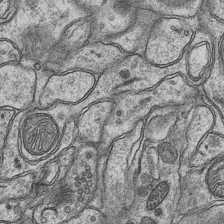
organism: Mouse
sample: CA1 Hippocampus